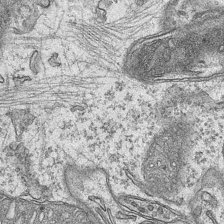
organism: Mouse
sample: CA1 Hippocampus